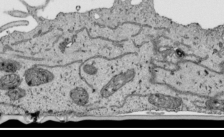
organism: Human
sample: Mitochondria in HCT116 cells